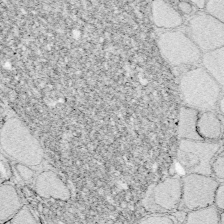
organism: Zebrafish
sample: Whole-Brain